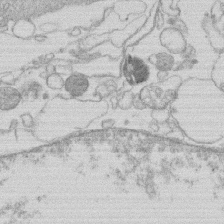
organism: Human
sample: Macrophage cells